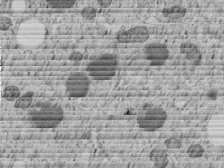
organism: C. elegans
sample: C. elegans embryo early stage